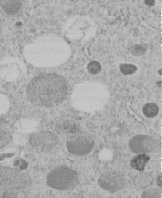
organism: C. elegans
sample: C. elegans embryo early stage